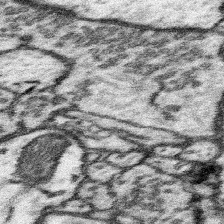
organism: Mouse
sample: Somatosensory cortex neuropil